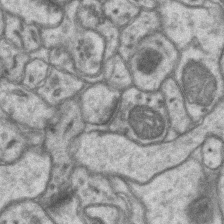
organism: Mouse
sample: CA1 Hippocampus